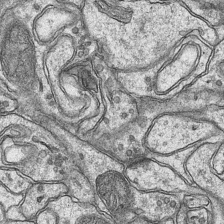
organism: Mouse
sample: CA1 Hippocampus